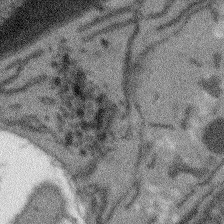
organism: Arabidopsis thaliana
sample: Root tip